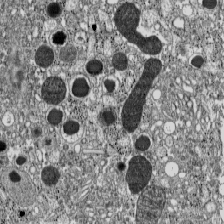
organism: C57BL Mouse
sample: Pancreatic islet